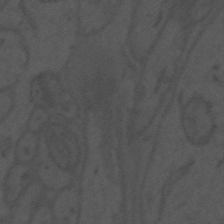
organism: Mouse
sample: Suprachiasmatic nucleus